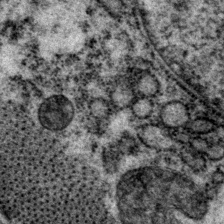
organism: P. pacificus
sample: Pharynx